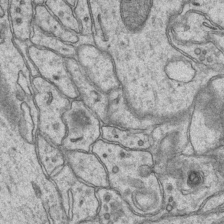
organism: Mouse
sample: CA1 Hippocampus